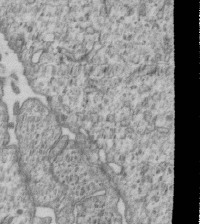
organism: Human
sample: MDA-MB-231 cells